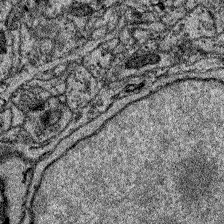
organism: Zebrafish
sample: Larval olfactory bulb